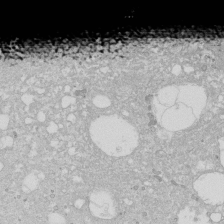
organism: Human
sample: Caco-2 cells